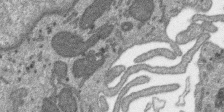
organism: Human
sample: Lung epithelial cells infected with SARS-CoV-2